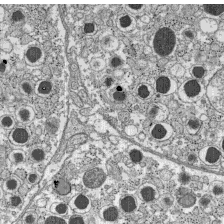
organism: C57BL Mouse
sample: Pancreatic islet